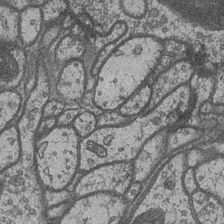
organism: Drosophila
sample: Optic medulla